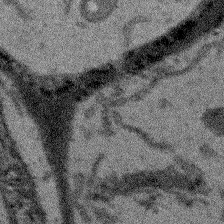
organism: Arabidopsis thaliana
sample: Root tip